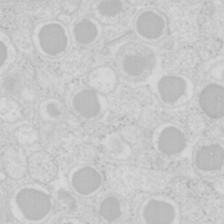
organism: Mouse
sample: Pancreas